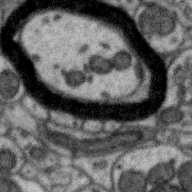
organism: Zebra finch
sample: Brain